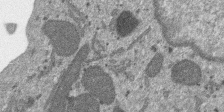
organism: Human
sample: Lung epithelial cells infected with SARS-CoV-2